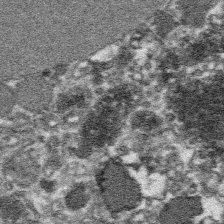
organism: Platynereis dumerilii